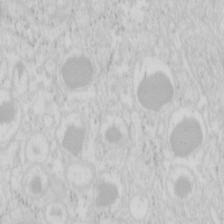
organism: Mouse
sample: Pancreas